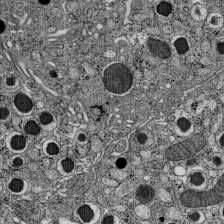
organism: C57BL Mouse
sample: Pancreatic islet